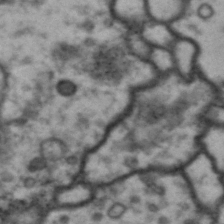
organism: Drosophila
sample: Brain